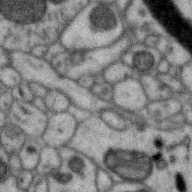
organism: Zebra finch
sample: Brain